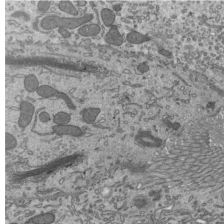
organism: Mouse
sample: Mouse epididymis efferent ductule cilia